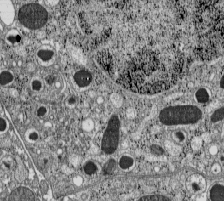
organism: C57BL Mouse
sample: Pancreatic islet